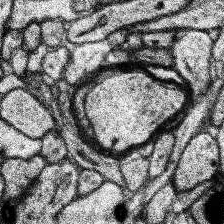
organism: Human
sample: Temporal Lobe